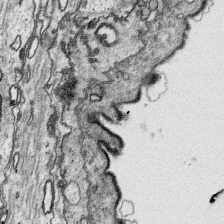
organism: Platynereis dumerilii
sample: Parapodia